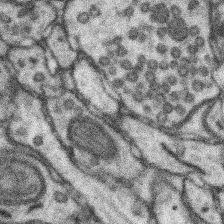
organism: Mouse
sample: Somatosensory cortex neuropil